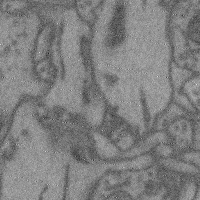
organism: Mouse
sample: Cerebral cortex